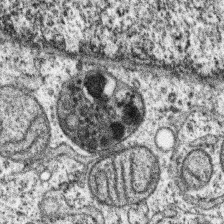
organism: Human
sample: HeLa cells